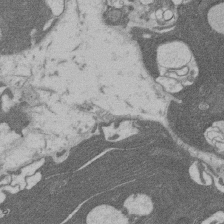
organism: Rat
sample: Salivary granule